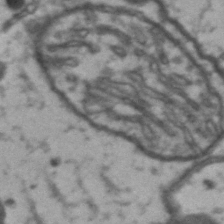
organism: Drosophila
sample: Brain